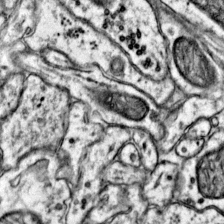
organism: Mouse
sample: Primary visual cortex